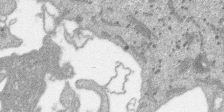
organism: Human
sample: Lung epithelial cells infected with SARS-CoV-2